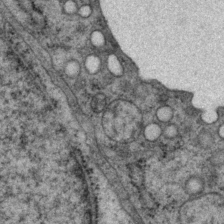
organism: P. pacificus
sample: Pharynx